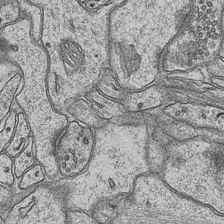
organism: Mouse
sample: CA1 Hippocampus